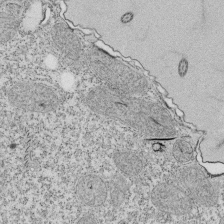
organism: Tetrahymena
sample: Cilia in tetrahymena